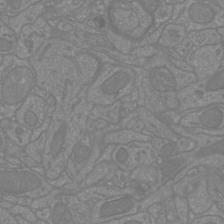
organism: Mouse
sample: Cortical neurons